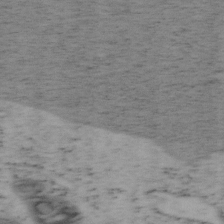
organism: Mouse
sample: OT-I killer T cells with ID8 ovarian cancer cells